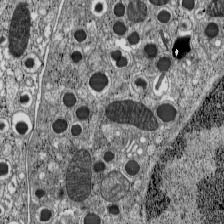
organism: C57BL Mouse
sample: Pancreatic islet